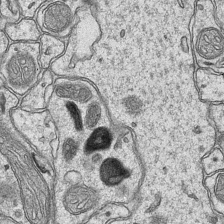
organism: Mouse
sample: CA1 Hippocampus